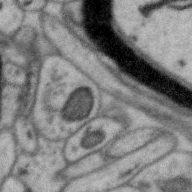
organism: Zebra finch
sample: Brain